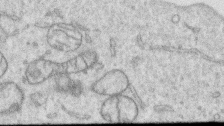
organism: Human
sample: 1205lu cells